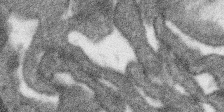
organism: Human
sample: Lung epithelial cells infected with SARS-CoV-2